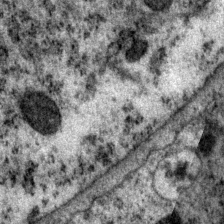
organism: P. pacificus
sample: Pharynx